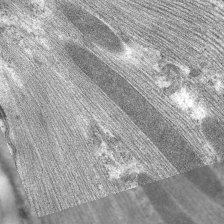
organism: C. elegans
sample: Pharynx